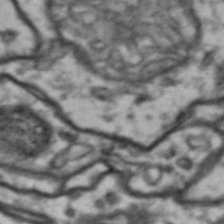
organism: Drosophila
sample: Brain